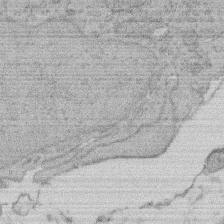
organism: Rat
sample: Salivary granule